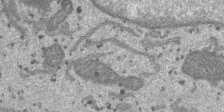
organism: Human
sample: Lung epithelial cells infected with SARS-CoV-2